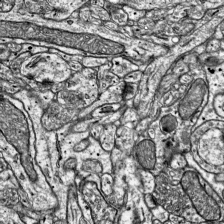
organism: Mouse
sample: Visual Cortex